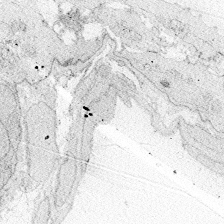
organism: Zebrafish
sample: Whole-Brain